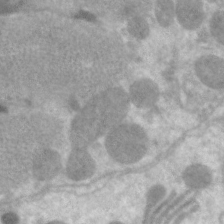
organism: C. elegans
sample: Pharynx